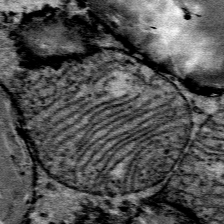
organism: Mouse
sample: Mouse Salivary gland